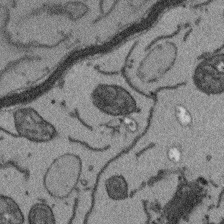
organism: Arabidopsis thaliana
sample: Root tip